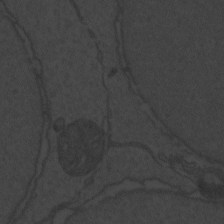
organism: Zebrafish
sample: Macrophage infected with Toxoplasma gondii